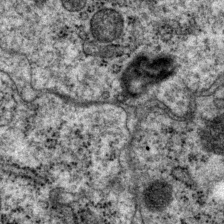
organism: P. pacificus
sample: Pharynx